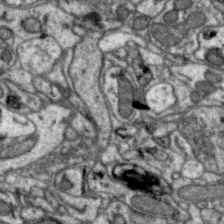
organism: Zebra finch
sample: Brain